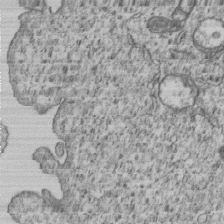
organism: Human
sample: MDA-MB-231 cells